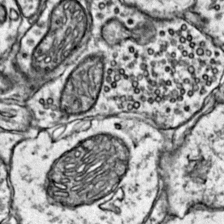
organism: Mouse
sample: Primary visual cortex